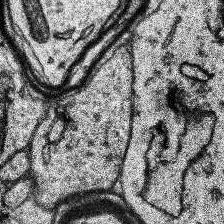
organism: Human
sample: Temporal Lobe